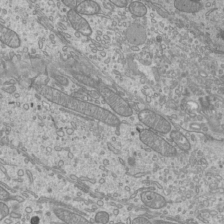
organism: Mouse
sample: Cilia; mouse epididymis